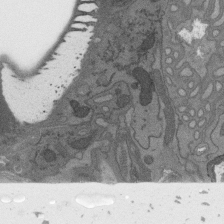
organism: C. elegans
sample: AFD neurons C. elegans